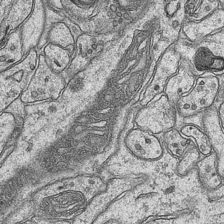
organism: Mouse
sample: CA1 Hippocampus